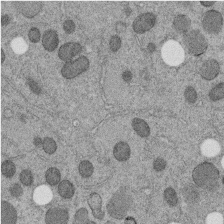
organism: C. elegans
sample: C. elegans embryo early stage